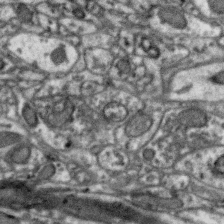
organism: Zebra finch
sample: Brain